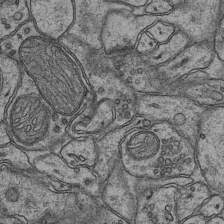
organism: Mouse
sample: CA1 Hippocampus